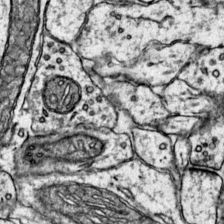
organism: Mouse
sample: Primary visual cortex